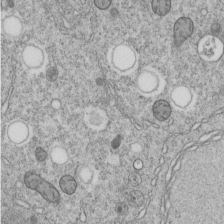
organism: C. elegans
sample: C. elegans embryo early stage